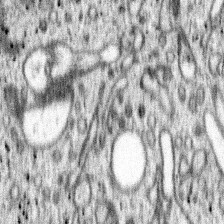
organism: Human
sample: HeLa cells